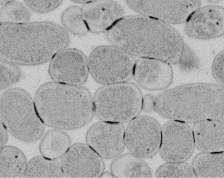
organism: E. coli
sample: Bacterial nucleoid